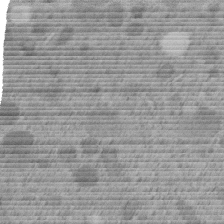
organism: C. elegans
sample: C. elegans embryo early stage